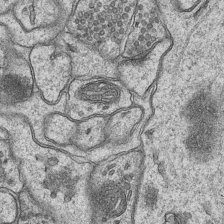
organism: Mouse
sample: CA1 Hippocampus